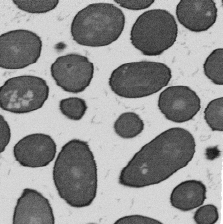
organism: B. subtilis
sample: Bacterial spore